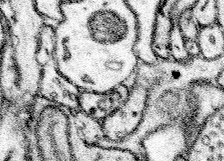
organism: Mouse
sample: Somatosensory cortex neuropil